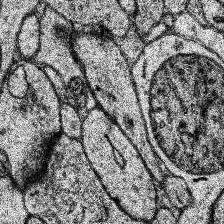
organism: Human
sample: Temporal Lobe